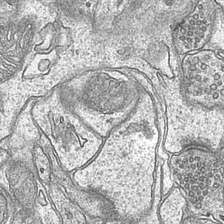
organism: Mouse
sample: CA1 Hippocampus